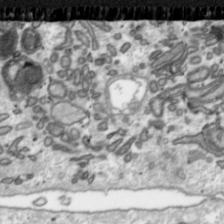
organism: Toxoplasma gondii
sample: Parasites in a vacuole inside a host cell